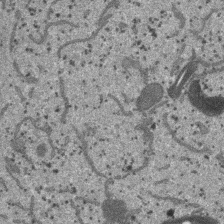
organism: Human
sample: Lung epithelial cells infected with SARS-CoV-2